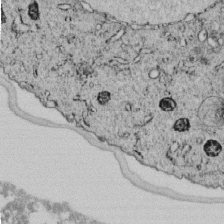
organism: C. elegans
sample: C. elegans embryo early stage